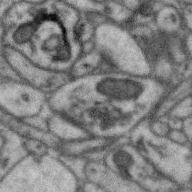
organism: Zebra finch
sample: Brain